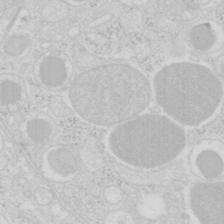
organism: Mouse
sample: Pancreas